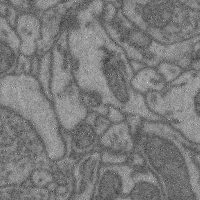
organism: Mouse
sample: Cerebral cortex